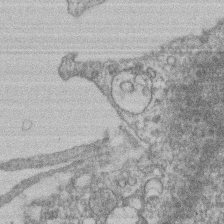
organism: Mouse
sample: T cell stromal cell synapse